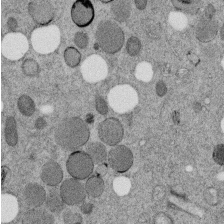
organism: C. elegans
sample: C. elegans embryo early stage